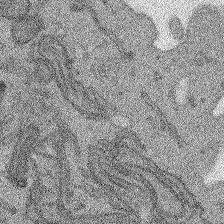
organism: Human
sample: HeLa cells